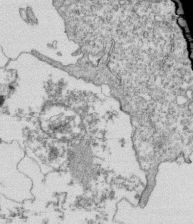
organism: Human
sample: HeLa cell HIV synapse